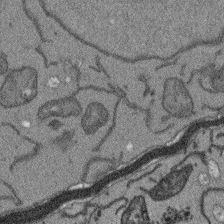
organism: Arabidopsis thaliana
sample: Root tip